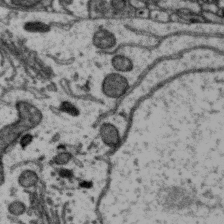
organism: Zebra finch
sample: Brain